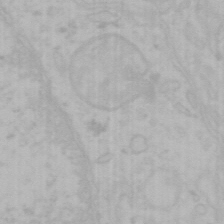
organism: Mouse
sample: Choroid plexus